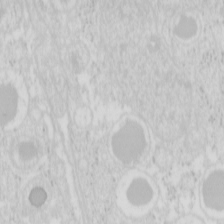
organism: Mouse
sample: Pancreas